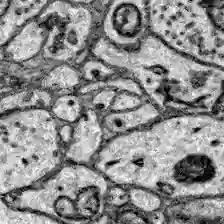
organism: Zebrafish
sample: Brain